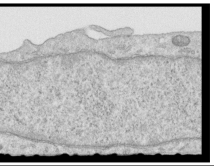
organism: Human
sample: Centriole in RPE cells